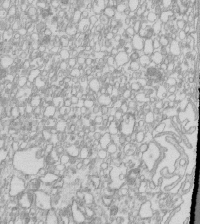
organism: Mouse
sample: Macrophages